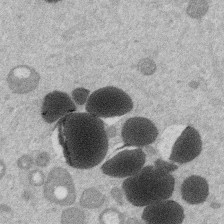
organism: Mouse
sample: Dividing mouse embryo 1 cell stage